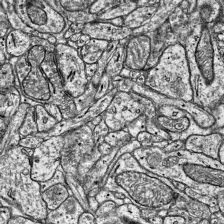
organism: Mouse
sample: Visual Cortex